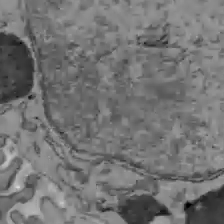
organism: C57BL Mouse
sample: Liver